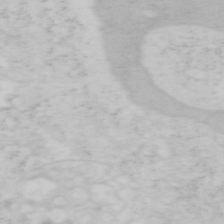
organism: Mouse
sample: OT-I killer T cells with ID8 ovarian cancer cells